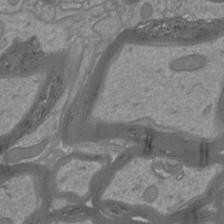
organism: Mouse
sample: Cortical neurons